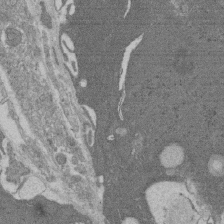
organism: Rat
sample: Salivary granule